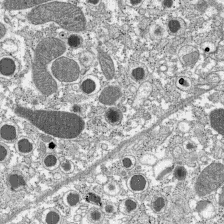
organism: C57BL Mouse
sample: Pancreatic islet